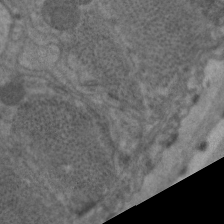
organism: C. elegans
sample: Pharynx